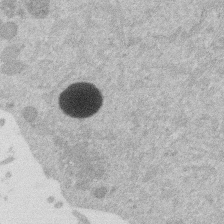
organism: Mouse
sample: Dividing mouse embryo 1 cell stage